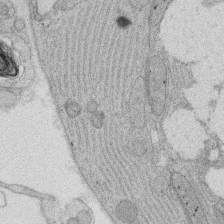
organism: Rat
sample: Salivary granule